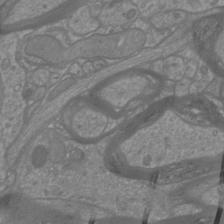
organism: Mouse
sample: Cortical neurons